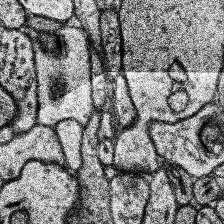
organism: Human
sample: Temporal Lobe